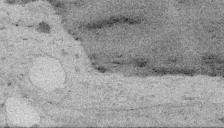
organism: Embia sp.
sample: Silk gland